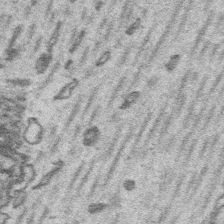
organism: Platynereis dumerilii